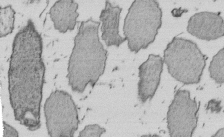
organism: E. coli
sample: Bacterial nucleoid